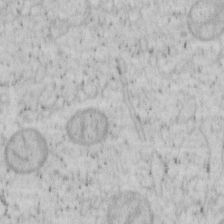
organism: Human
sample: HeLa cells